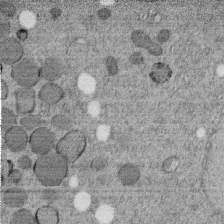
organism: C. elegans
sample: C. elegans embryo early stage